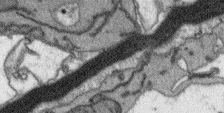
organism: Arabidopsis thaliana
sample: Root tip